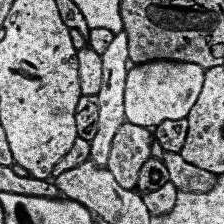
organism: Human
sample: Temporal Lobe